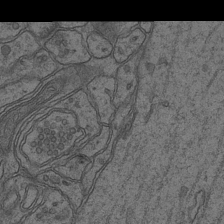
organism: Mouse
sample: CA1 Hippocampus